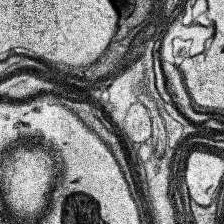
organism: Human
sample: Temporal Lobe